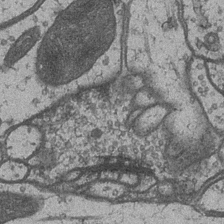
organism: Drosophila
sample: Optic medulla